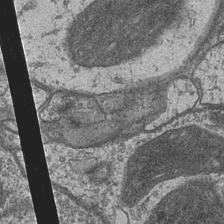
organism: Drosophila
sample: Optic medulla